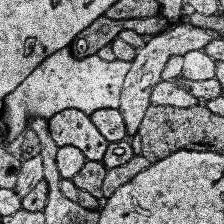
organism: Human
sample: Temporal Lobe